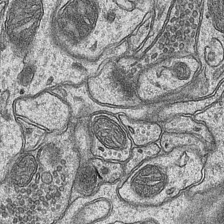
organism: Mouse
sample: CA1 Hippocampus